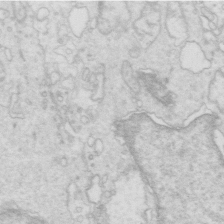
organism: Mouse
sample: Multiciliated cells